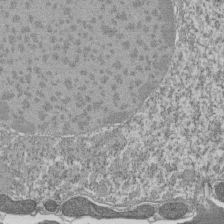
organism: Tetrahymena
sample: Cilia in tetrahymena